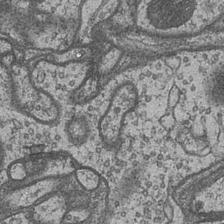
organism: Drosophila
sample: Optic medulla